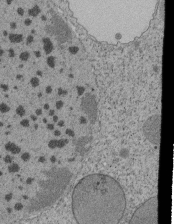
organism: Tetrahymena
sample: Cilia in tetrahymena